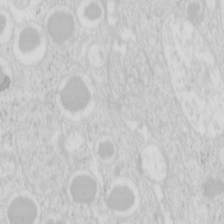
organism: Mouse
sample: Pancreas